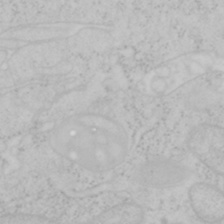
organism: Mouse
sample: OT-I killer T cells with ID8 ovarian cancer cells